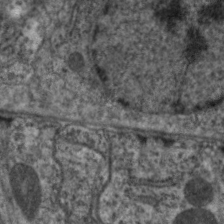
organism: C. elegans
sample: Pharynx